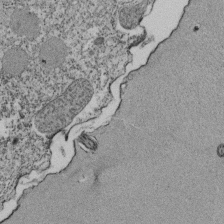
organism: Tetrahymena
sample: Cilia in tetrahymena